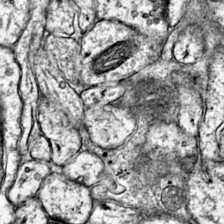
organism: Mouse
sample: Primary visual cortex